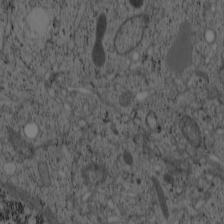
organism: African green monkey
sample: COS-7 cells